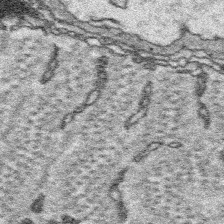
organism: Platynereis dumerilii